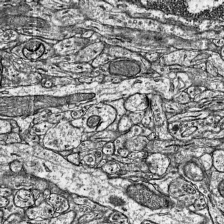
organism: Mouse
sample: Visual Cortex